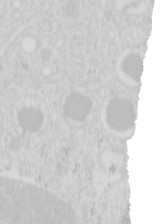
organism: Mouse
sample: Pancreas